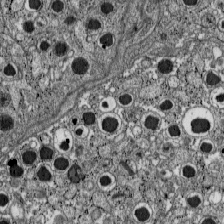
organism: C57BL Mouse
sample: Pancreatic islet